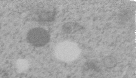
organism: C. elegans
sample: C. elegans embryo early stage